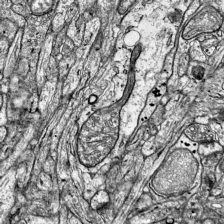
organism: Mouse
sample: Visual Cortex